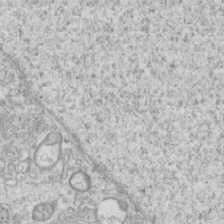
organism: Mouse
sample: Centriole in ependymal cells